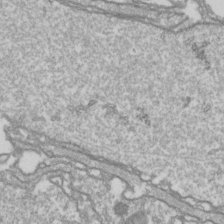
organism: Drosophila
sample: Cell division; meiosis; drosophila spermatocytes